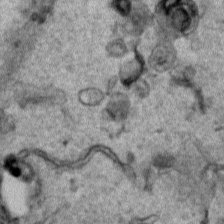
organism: Human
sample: Mitochondria in HCT116 cells